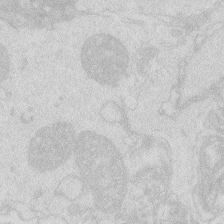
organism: Zebrafish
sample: Macrophage